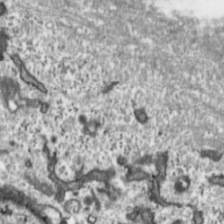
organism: Toxoplasma gondii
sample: Parasites in a vacuole inside a host cell